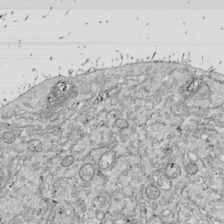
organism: Drosophila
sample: Cell division; meiosis; drosophila spermatocytes